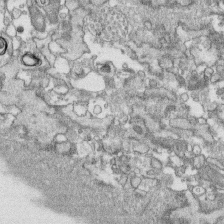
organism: Human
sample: CRL-1474